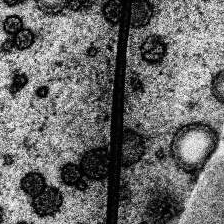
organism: Human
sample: Temporal Lobe